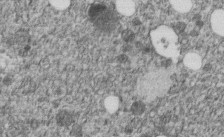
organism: C. elegans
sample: C. elegans embryo early stage